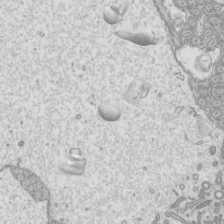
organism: Mouse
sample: Cilia; mouse epididymis